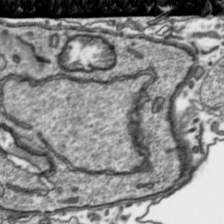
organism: Toxoplasma gondii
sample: Parasites in a vacuole inside a host cell